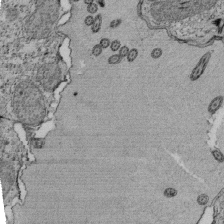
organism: Tetrahymena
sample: Cilia in tetrahymena